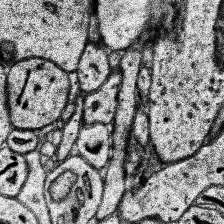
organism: Human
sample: Temporal Lobe